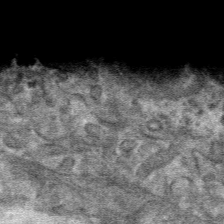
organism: Mouse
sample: Mouse hepatocytes